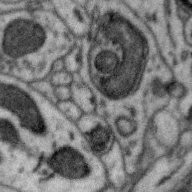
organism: Zebra finch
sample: Brain